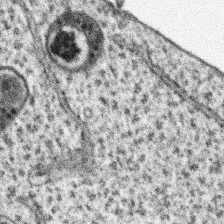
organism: Human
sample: HeLa cells